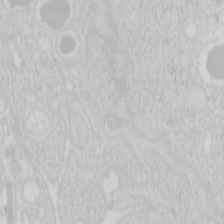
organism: Mouse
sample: Pancreas